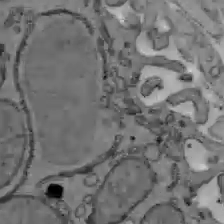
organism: C57BL Mouse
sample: Liver